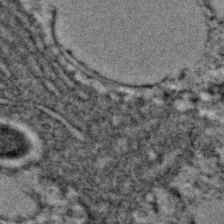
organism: C. elegans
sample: C. elegans embryo